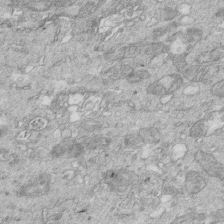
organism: Mouse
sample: Multiciliated cells